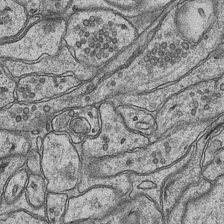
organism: Mouse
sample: CA1 Hippocampus